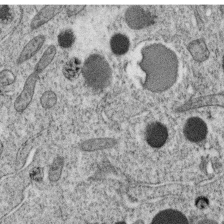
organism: C. elegans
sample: C. elegans oocyte; sperm cells